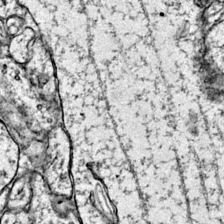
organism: Mouse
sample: Primary visual cortex